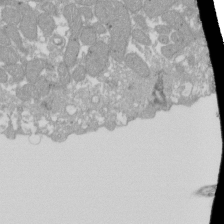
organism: Xenopus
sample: Cilia; centrioles in frog embryo cells